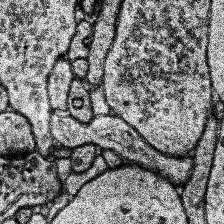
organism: Human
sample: Temporal Lobe